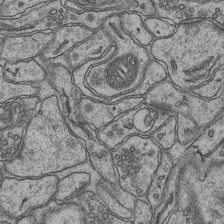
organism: Mouse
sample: CA1 Hippocampus